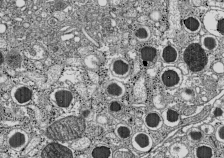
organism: C57BL Mouse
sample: Pancreatic islet